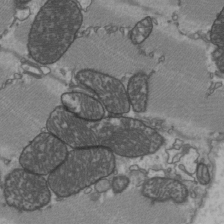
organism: C57BL Mouse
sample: Heart